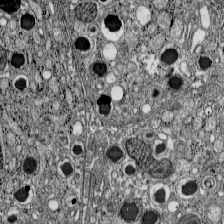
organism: C57BL Mouse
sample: Pancreatic islet